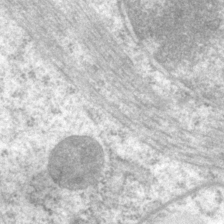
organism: P. pacificus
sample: Pharynx